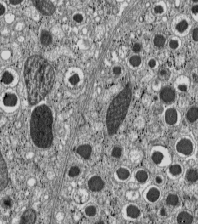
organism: C57BL Mouse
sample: Pancreatic islet